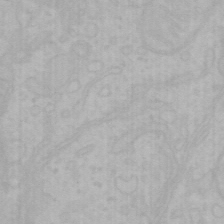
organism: Mouse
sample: Choroid plexus